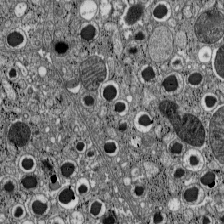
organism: C57BL Mouse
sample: Pancreatic islet